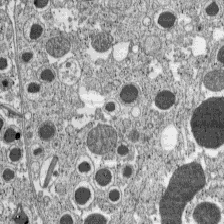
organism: C57BL Mouse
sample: Pancreatic islet